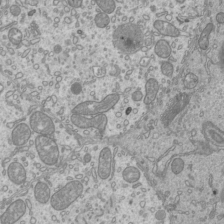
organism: Mouse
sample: Cilia; mouse epididymis